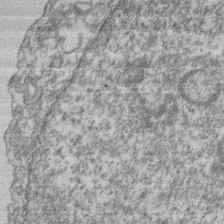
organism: Mouse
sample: T cell stromal cell synapse